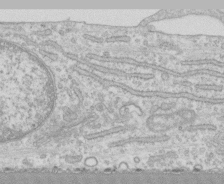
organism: Human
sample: CRL-1474